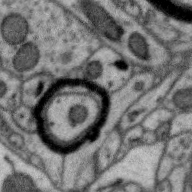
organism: Zebra finch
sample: Brain